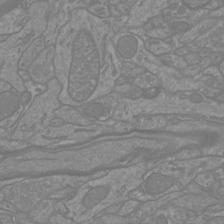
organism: Mouse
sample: Cortical neurons